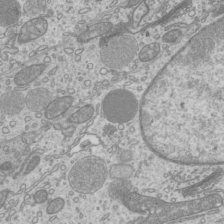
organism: Mouse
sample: Cilia; mouse epididymis